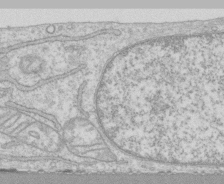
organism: Human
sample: CRL-1474